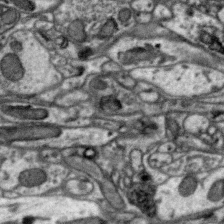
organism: Zebra finch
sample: Brain